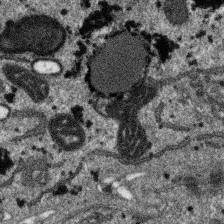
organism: Human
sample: Lung epithelial cells infected with SARS-CoV-2